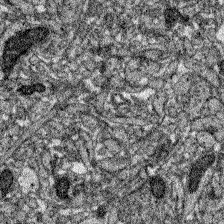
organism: Zebrafish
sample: Larval olfactory bulb